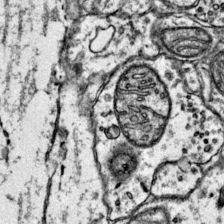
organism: Mouse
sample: Primary visual cortex